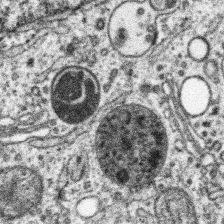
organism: Human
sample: HeLa cells